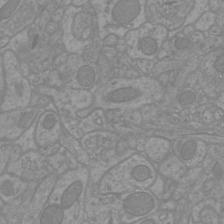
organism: Mouse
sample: Cortical neurons